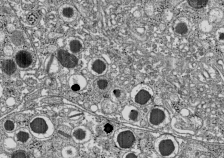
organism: C57BL Mouse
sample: Pancreatic islet